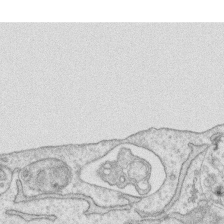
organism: Human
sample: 1205lu cells